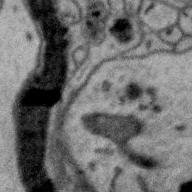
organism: Zebra finch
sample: Brain